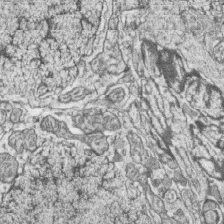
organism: Zebrafish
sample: synaptic ribbons in rod cells and cone cells